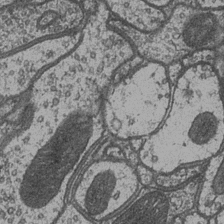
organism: Drosophila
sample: Optic medulla